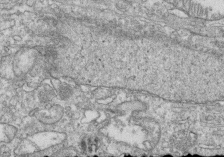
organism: Human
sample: HeLa cell HIV synapse